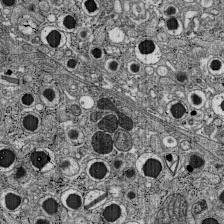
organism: C57BL Mouse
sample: Pancreatic islet